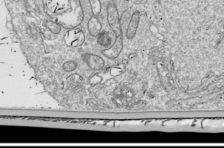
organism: Drosophila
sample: Cell division; meiosis; drosophila spermatocytes